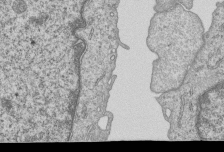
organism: Human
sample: MDA-MB-231 cells